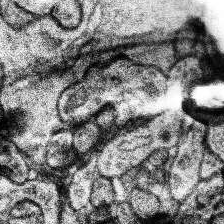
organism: Human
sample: Temporal Lobe